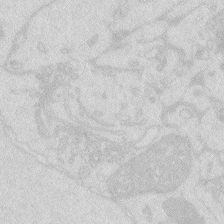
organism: Zebrafish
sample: Macrophage